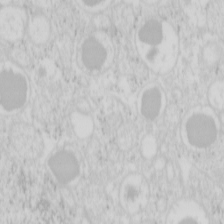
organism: Mouse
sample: Pancreas